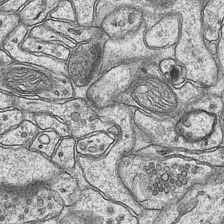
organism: Mouse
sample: CA1 Hippocampus